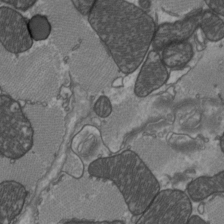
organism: C57BL Mouse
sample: Heart